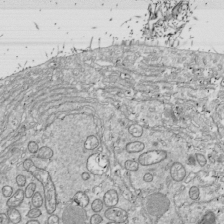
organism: Drosophila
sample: Cell division; meiosis; drosophila spermatocytes